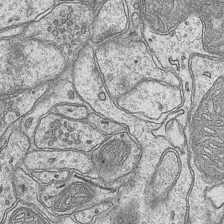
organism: Mouse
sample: CA1 Hippocampus